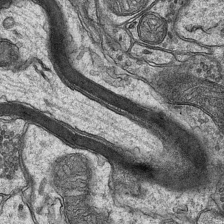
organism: Mouse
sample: CA1 Hippocampus